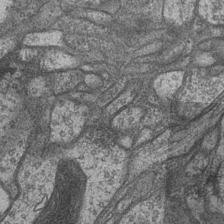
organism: Drosophila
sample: Optic medulla